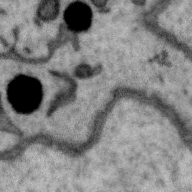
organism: Zebra finch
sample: Brain